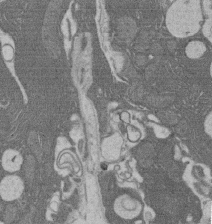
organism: Rat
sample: Salivary granule